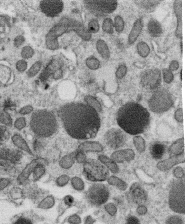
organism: C. elegans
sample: C. elegans oocyte; sperm cells